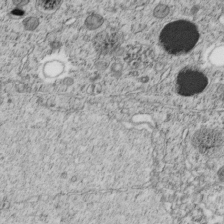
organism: C. elegans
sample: C. elegans embryo early stage